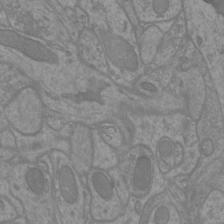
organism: Mouse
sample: Cortical neurons